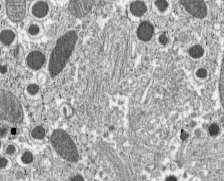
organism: C57BL Mouse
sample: Pancreatic islet